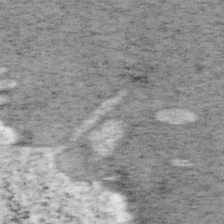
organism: Mouse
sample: OT-I killer T cells with ID8 ovarian cancer cells